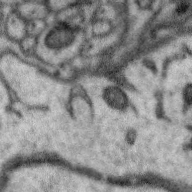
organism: Zebra finch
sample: Brain